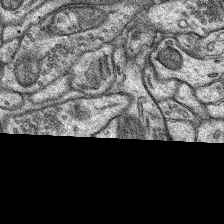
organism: Rat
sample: Hippocampus